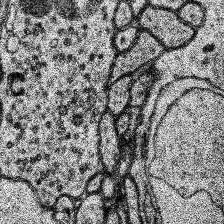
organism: Human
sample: Temporal Lobe